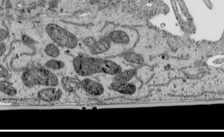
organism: Human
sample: Mitochondria in HCT116 cells